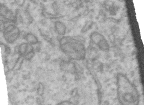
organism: Human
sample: Centriole in RPE cells